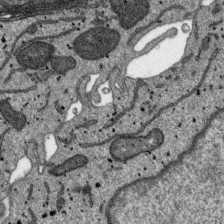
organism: Human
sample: Lung epithelial cells, uninfected (mock) control